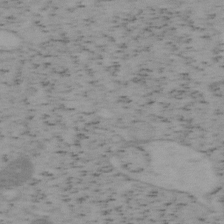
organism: Mouse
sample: OT-I killer T cells with ID8 ovarian cancer cells